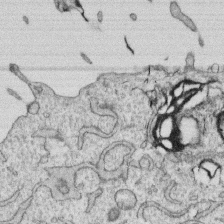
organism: Human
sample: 1205lu cells